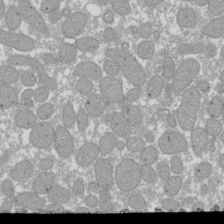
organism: Xenopus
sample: Cilia; centrioles in frog embryo cells